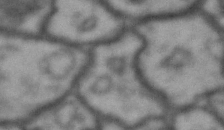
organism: Drosophila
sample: Brain